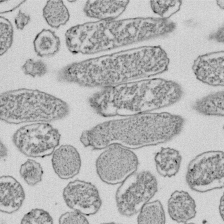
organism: E. coli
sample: Bacterial nucleoid